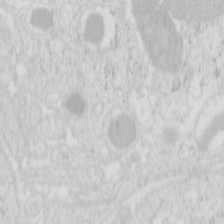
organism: Mouse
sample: Pancreas